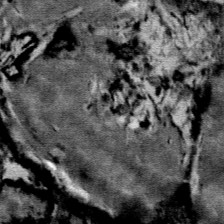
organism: Mouse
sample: Mouse Salivary gland